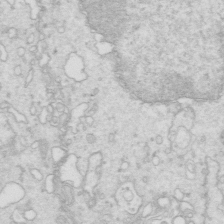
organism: Mouse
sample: Multiciliated cells